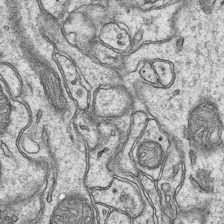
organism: Mouse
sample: CA1 Hippocampus